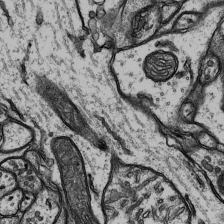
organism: Rat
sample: Hippocampus